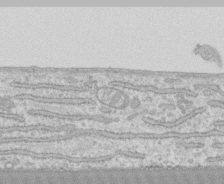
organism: Human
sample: CRL-1474